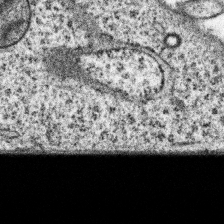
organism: Human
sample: HeLa cells